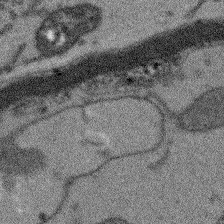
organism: Arabidopsis thaliana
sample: Root tip